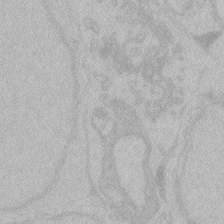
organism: Zebrafish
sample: Macrophage infected with Toxoplasma gondii